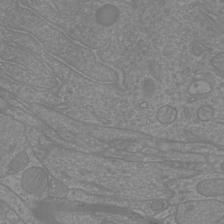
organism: Mouse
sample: Cortical neurons